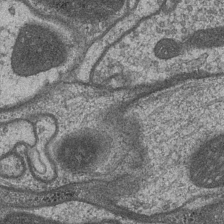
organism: Drosophila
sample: Optic medulla